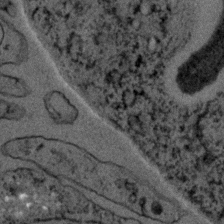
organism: C. elegans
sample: C. elegans embryo